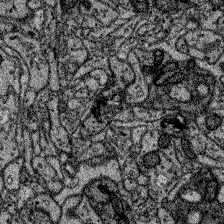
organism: Zebrafish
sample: Larval olfactory bulb